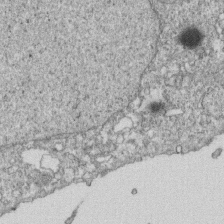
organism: Human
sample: HeLa cell HIV synapse